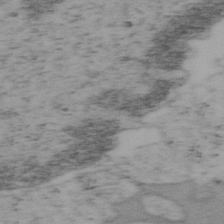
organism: Mouse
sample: OT-I killer T cells with ID8 ovarian cancer cells